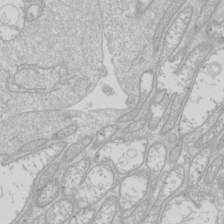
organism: Drosophila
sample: Cell division; meiosis; drosophila spermatocytes